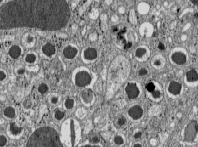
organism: C57BL Mouse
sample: Pancreatic islet